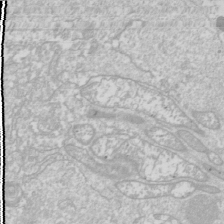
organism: Drosophila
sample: Cell division; meiosis; drosophila spermatocytes